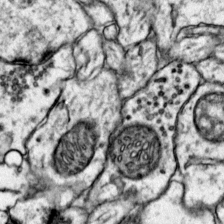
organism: Mouse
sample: Primary visual cortex